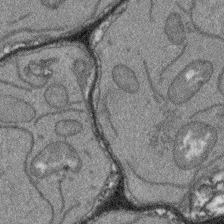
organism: Arabidopsis thaliana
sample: Root tip